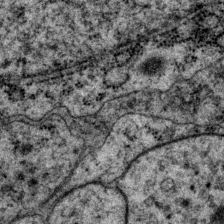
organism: P. pacificus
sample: Pharynx